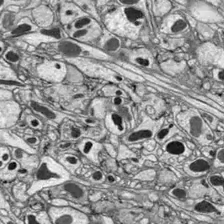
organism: Drosophila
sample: Optic lobe